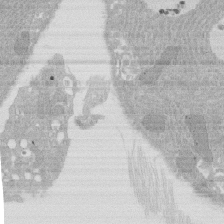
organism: Rat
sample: Salivary granule